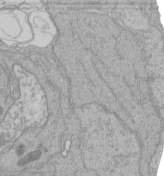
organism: Human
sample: Retinal organoid Rod and Cone cells